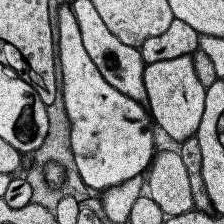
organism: Human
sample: Temporal Lobe